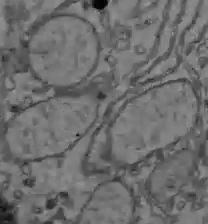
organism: C57BL Mouse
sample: Liver